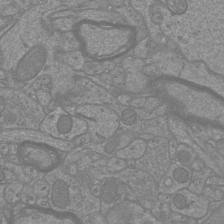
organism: Mouse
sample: Cortical neurons